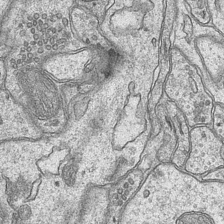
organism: Mouse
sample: CA1 Hippocampus